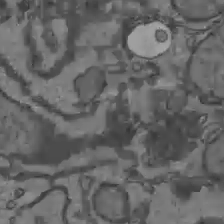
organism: C57BL Mouse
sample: Liver